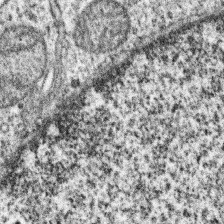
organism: Human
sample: HeLa cells